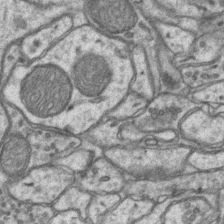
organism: Mouse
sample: CA1 Hippocampus